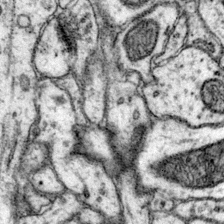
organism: Mouse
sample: Primary visual cortex